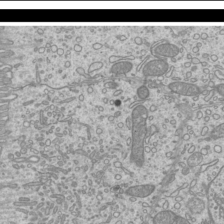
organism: Mouse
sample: Cilia; mouse epididymis